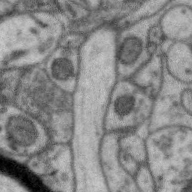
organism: Zebra finch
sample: Brain